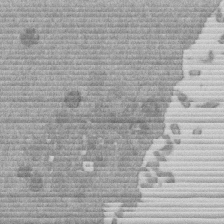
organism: Mouse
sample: Dividing mouse embryo 1 cell stage